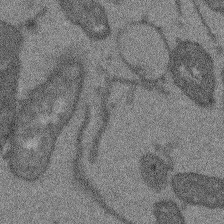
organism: Arabidopsis thaliana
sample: Root tip